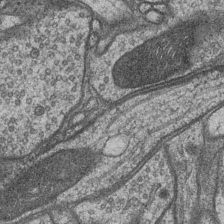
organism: Drosophila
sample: Optic medulla